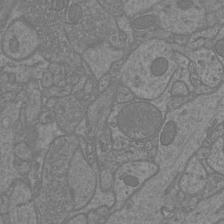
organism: Mouse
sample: Cortical neurons